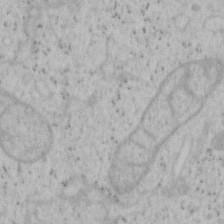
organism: Human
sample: HeLa cells